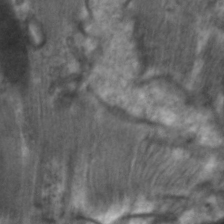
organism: C. elegans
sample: Pharynx